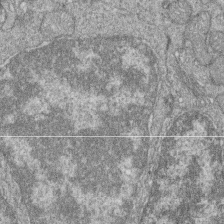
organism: Zebrafish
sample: Cilia; retinal pigment epithelium